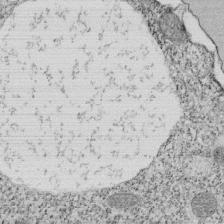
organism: Tetrahymena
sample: Cilia in tetrahymena